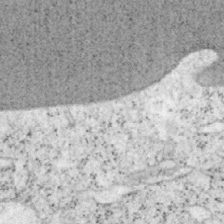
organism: Mouse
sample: OT-I killer T cells with ID8 ovarian cancer cells